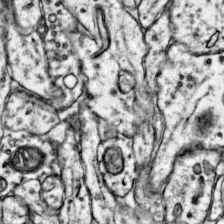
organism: Mouse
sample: Primary visual cortex